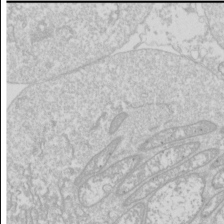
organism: Drosophila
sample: Cell division; meiosis; drosophila spermatocytes